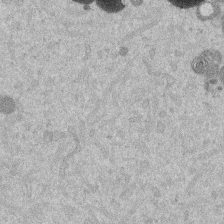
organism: Mouse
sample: Dividing mouse embryo 1 cell stage